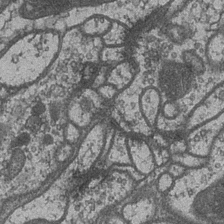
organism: Drosophila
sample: Optic medulla